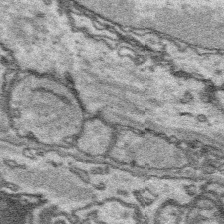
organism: Platynereis dumerilii